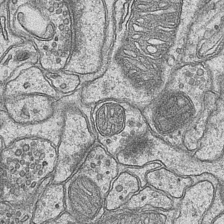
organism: Mouse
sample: CA1 Hippocampus